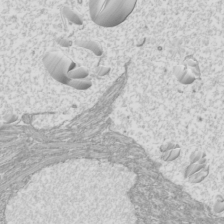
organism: Mouse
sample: Cilia; mouse epididymis